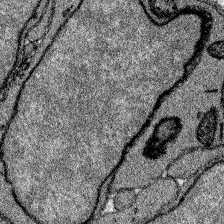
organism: Zebrafish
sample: Larval olfactory bulb